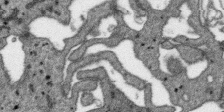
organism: Human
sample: Lung epithelial cells, uninfected (mock) control